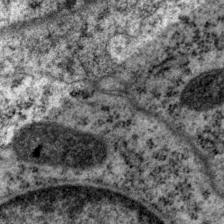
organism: P. pacificus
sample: Pharynx